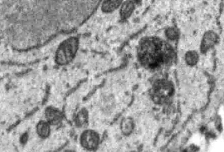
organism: Human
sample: HeLa cells